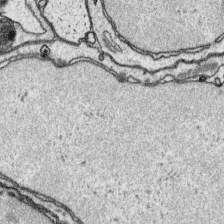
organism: Platynereis dumerilii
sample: Parapodia